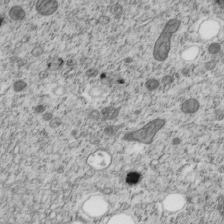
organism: C. elegans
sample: C. elegans embryo early stage